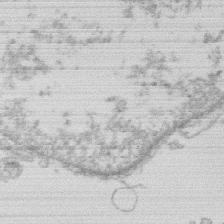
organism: Human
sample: Macrophage cells